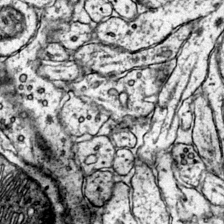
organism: Mouse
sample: Primary visual cortex